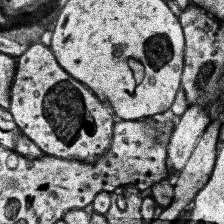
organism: Human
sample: Temporal Lobe